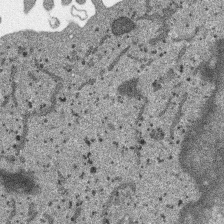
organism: Human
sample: Lung epithelial cells infected with SARS-CoV-2